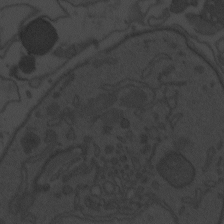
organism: Zebrafish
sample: Macrophage infected with Toxoplasma gondii